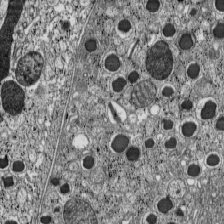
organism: C57BL Mouse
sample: Pancreatic islet